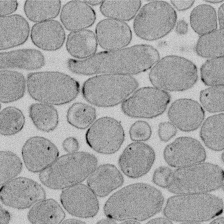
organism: E. coli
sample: Bacterial nucleoid